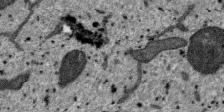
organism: Human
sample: Lung epithelial cells, uninfected (mock) control